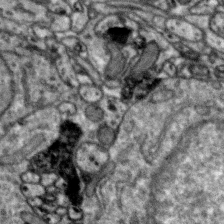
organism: Zebra finch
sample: Brain